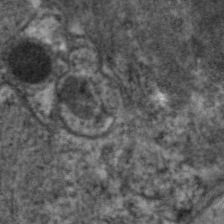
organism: C. elegans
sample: Pharynx